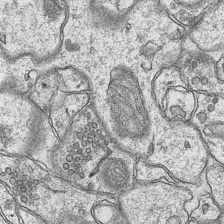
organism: Mouse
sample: CA1 Hippocampus